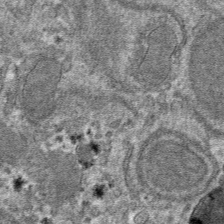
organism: Mouse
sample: Mouse hepatocytes